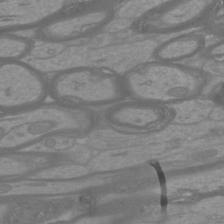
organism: Mouse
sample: Cortical neurons